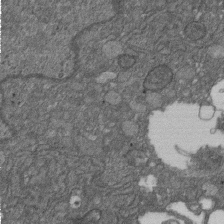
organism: Drosophila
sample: Nephrocyte